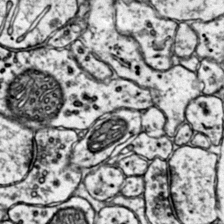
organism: Mouse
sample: Primary visual cortex